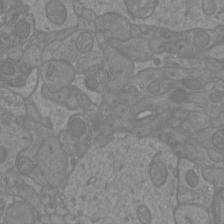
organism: Mouse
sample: Cortical neurons